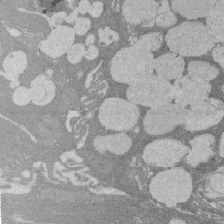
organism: Rat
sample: Salivary granule